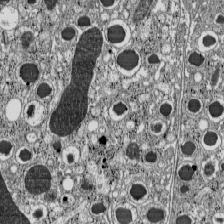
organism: C57BL Mouse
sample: Pancreatic islet